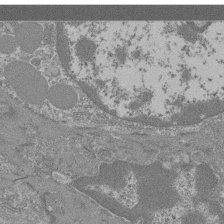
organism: Mouse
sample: Glomerulus